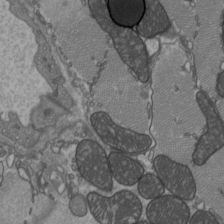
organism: C57BL Mouse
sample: Heart